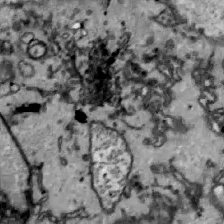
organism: Zebrafish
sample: Actinotrichia fibers